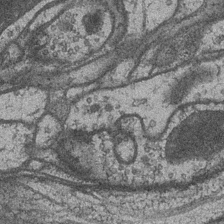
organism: Drosophila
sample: Optic medulla